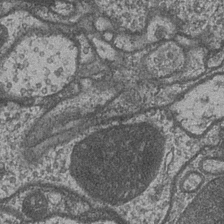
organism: Drosophila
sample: Optic medulla